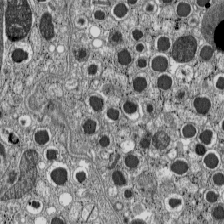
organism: C57BL Mouse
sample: Pancreatic islet